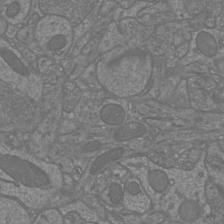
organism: Mouse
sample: Cortical neurons